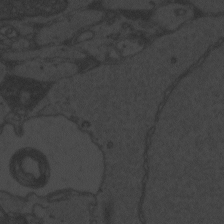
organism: Zebrafish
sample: Macrophage infected with Toxoplasma gondii